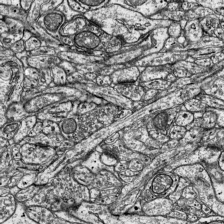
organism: Mouse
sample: Visual Cortex